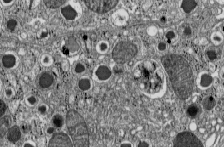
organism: C57BL Mouse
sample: Pancreatic islet